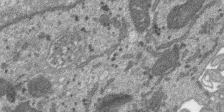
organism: Human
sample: Lung epithelial cells infected with SARS-CoV-2